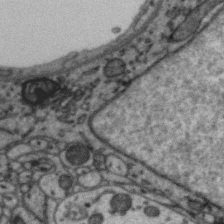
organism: Zebra finch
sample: Brain